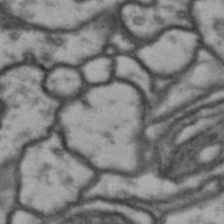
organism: Drosophila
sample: Brain